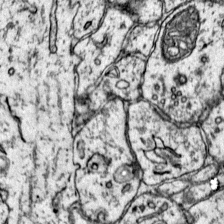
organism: Mouse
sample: Primary visual cortex